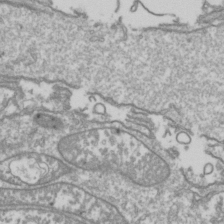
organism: Drosophila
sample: Cell division; meiosis; drosophila spermatocytes